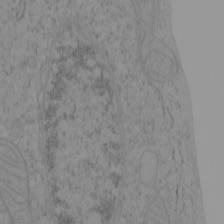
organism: Human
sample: HeLa cells